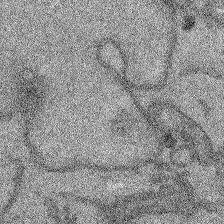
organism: Human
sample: HeLa cells